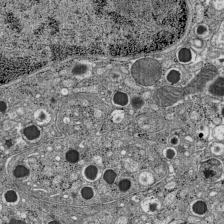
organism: C57BL Mouse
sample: Pancreatic islet